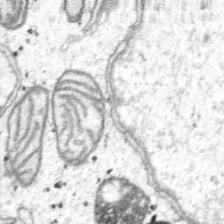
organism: Human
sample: HeLa cells